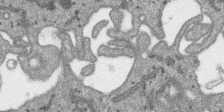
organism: Human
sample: Lung epithelial cells infected with SARS-CoV-2